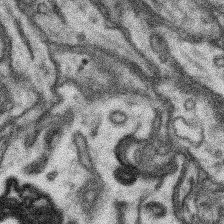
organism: Mouse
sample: Somatosensory cortex neuropil